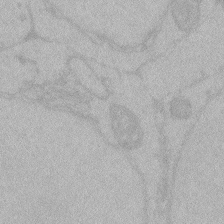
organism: Zebrafish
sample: Macrophage infected with Toxoplasma gondii